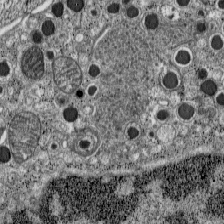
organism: C57BL Mouse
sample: Pancreatic islet